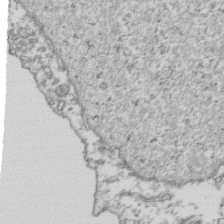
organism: Human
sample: Activated Jurkat CD4+ T cells